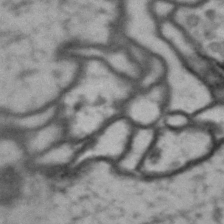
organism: Drosophila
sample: Brain